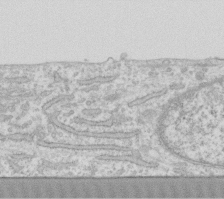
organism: Human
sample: Fibroblast cells